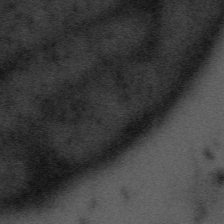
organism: Tuwongella immobilis